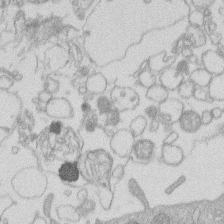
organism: Human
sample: Macrophage cells